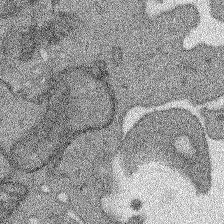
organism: Human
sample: HeLa cells